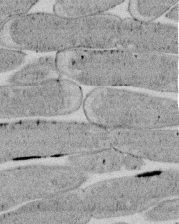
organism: E. coli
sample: Bacterial nucleoid